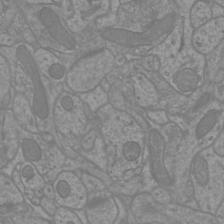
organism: Mouse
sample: Cortical neurons